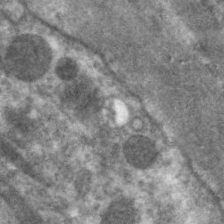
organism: C. elegans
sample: Pharynx